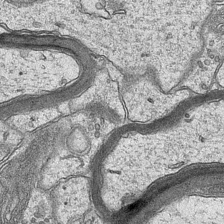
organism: Mouse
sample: CA1 Hippocampus